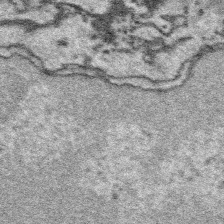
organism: Platynereis dumerilii